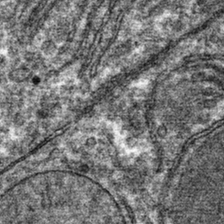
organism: Mouse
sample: Mouse hepatocytes